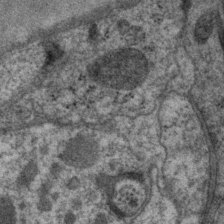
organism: P. pacificus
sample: Pharynx